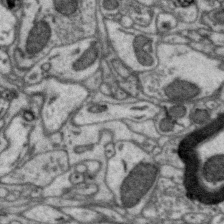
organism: Zebra finch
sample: Brain